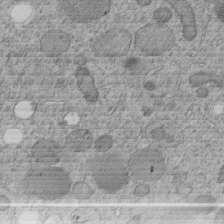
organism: C. elegans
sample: C. elegans embryo early stage